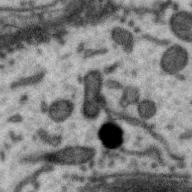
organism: Zebra finch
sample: Brain